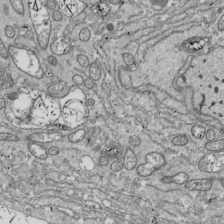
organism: Drosophila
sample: Cell division; meiosis; drosophila spermatocytes